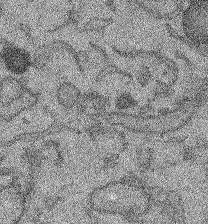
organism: Human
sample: HeLa cells